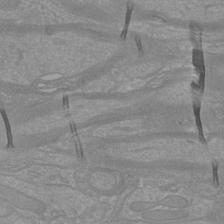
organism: Mouse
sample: Cortical neurons